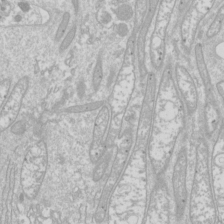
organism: Drosophila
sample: Cell division; meiosis; drosophila spermatocytes